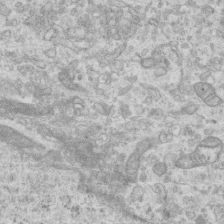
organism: Mouse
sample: Centriole in ependymal cells